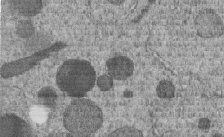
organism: C. elegans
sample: C. elegans embryo early stage